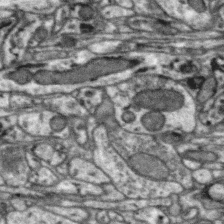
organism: Zebra finch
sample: Brain